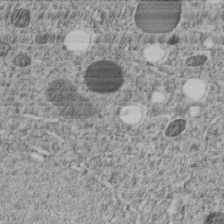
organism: C. elegans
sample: C. elegans embryo early stage